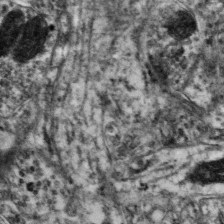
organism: Mouse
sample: Neocortex